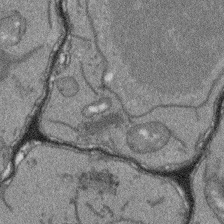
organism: Arabidopsis thaliana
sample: Root tip